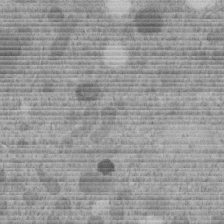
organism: C. elegans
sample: C. elegans embryo early stage